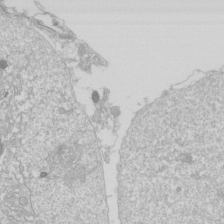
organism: Drosophila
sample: Cell division; meiosis; drosophila spermatocytes